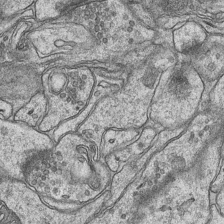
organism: Mouse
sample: CA1 Hippocampus